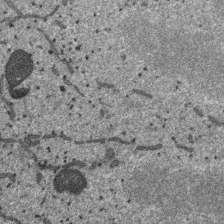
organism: Human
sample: Lung epithelial cells infected with SARS-CoV-2